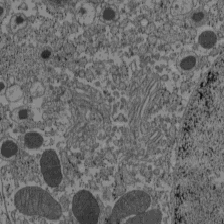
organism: C57BL Mouse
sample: Pancreatic islet